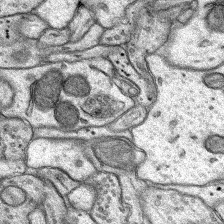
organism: Rat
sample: Hippocampus